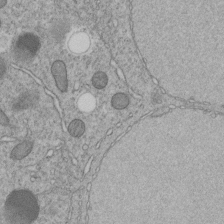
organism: C. elegans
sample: C. elegans embryo early stage